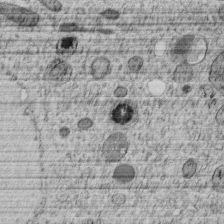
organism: C. elegans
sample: C. elegans embryo early stage